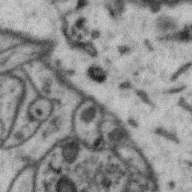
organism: Zebra finch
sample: Brain